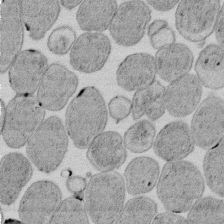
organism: E. coli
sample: Bacterial nucleoid